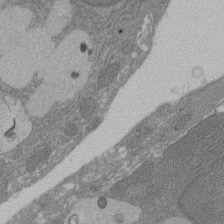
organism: Rat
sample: Salivary granule